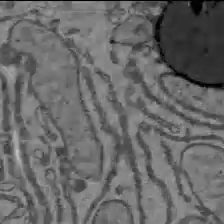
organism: C57BL Mouse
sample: Liver